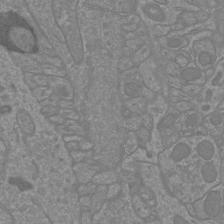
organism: Mouse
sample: Cortical neurons